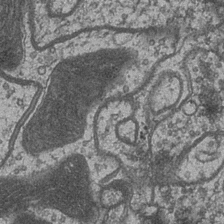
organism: Drosophila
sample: Optic medulla